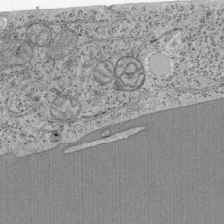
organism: Human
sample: HeLa cells